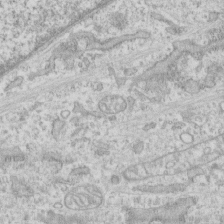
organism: Human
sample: CRL-1474